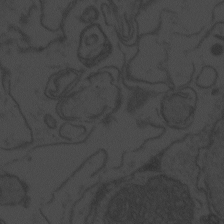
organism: Zebrafish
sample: Macrophage infected with Toxoplasma gondii